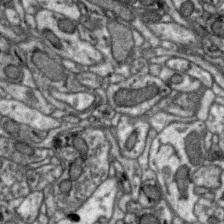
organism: Zebra finch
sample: Brain